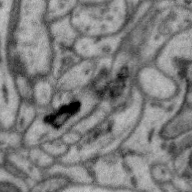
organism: Zebra finch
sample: Brain